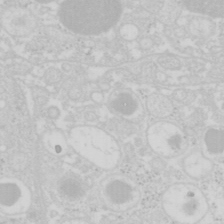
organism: Mouse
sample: Pancreas